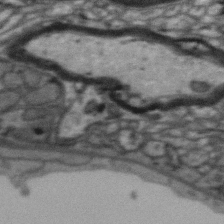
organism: Zebra finch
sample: Brain